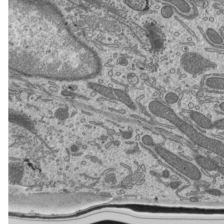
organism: Mouse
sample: Mouse epididymis efferent ductule cilia